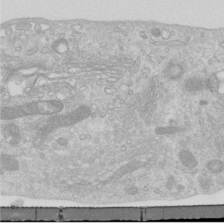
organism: Human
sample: Centriole in RPE cells